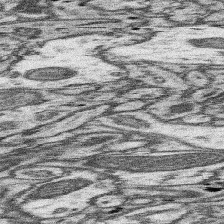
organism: Mouse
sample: Somatosensory cortex neuropil